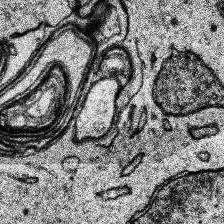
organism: Human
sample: Temporal Lobe